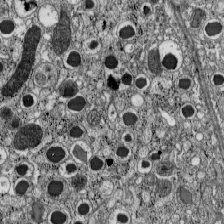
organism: C57BL Mouse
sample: Pancreatic islet